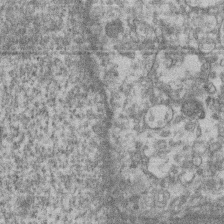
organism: Mouse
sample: T cell stromal cell synapse